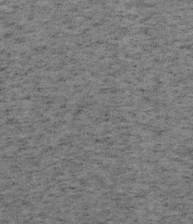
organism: Mouse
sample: OT-I killer T cells with ID8 ovarian cancer cells